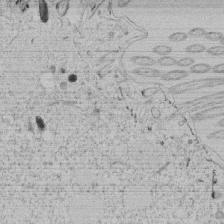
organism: Tetrahymena